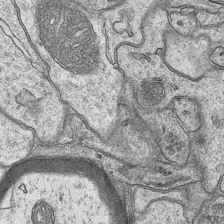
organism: Mouse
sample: CA1 Hippocampus